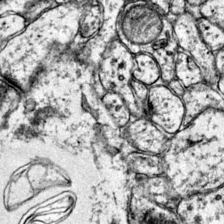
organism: Mouse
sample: Primary visual cortex